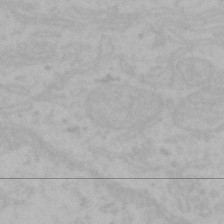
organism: Mouse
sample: Choroid plexus